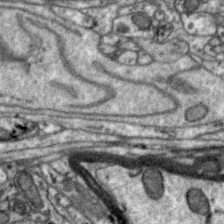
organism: Zebra finch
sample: Brain